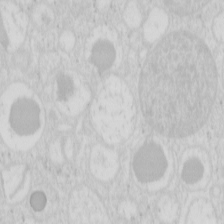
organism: Mouse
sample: Pancreas